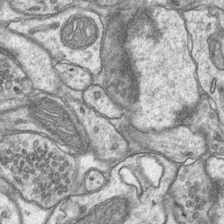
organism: Mouse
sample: CA1 Hippocampus